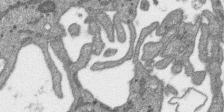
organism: Human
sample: Lung epithelial cells infected with SARS-CoV-2